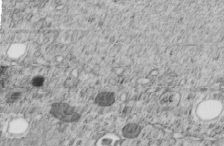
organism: C. elegans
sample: C. elegans embryo early stage